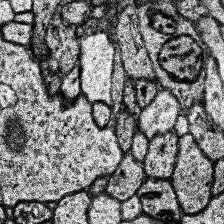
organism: Human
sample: Temporal Lobe